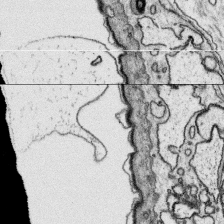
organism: Platynereis dumerilii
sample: Parapodia